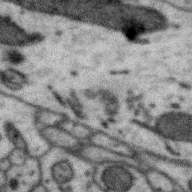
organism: Zebra finch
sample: Brain